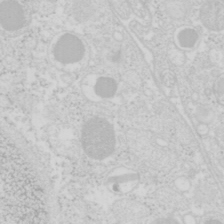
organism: Mouse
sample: Pancreas